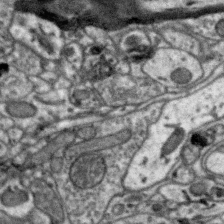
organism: Zebra finch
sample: Brain